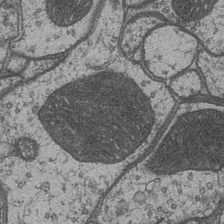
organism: Drosophila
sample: Optic medulla